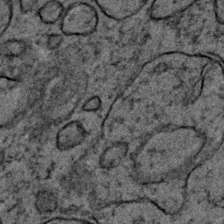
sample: Trachea